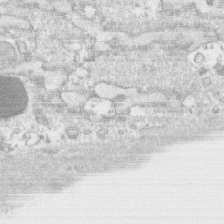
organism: Human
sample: CRL-1474